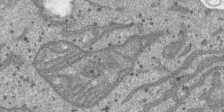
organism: Human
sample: Lung epithelial cells infected with SARS-CoV-2